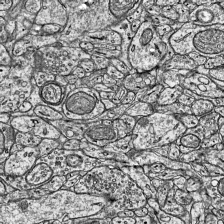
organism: Mouse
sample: Visual Cortex